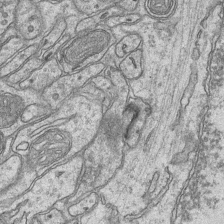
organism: Mouse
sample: CA1 Hippocampus